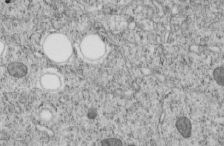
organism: C. elegans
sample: C. elegans embryo early stage